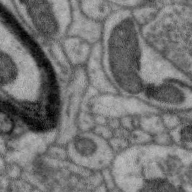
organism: Zebra finch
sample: Brain